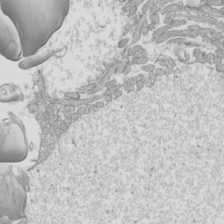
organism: Mouse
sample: Cilia; mouse epididymis